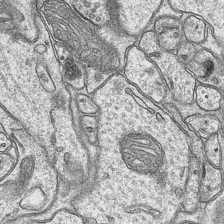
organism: Mouse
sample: CA1 Hippocampus